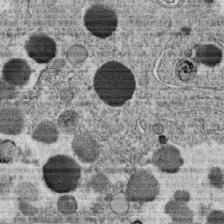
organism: C. elegans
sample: C. elegans oocyte; sperm cells